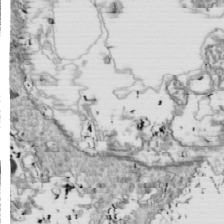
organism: Drosophila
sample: Cell division; meiosis; drosophila spermatocytes